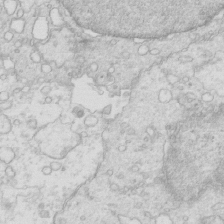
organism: Mouse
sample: Multiciliated cells